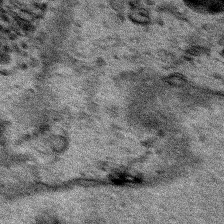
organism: Human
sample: Mitochondria in HCT116 cells